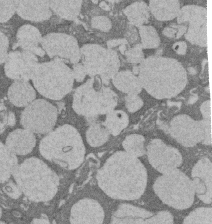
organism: Rat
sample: Salivary granule